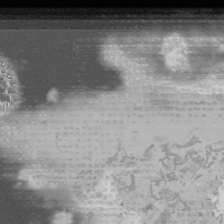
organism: Mouse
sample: Cancer cell death in ED-1 cells